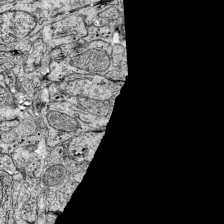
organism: Mouse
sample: Visual Cortex